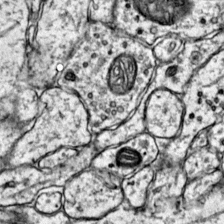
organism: Mouse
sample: Primary visual cortex